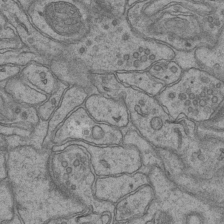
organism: Mouse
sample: CA1 Hippocampus